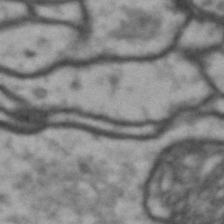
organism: Drosophila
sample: Brain